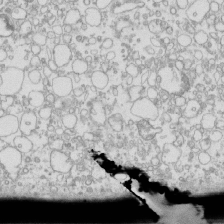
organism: Mouse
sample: Macrophages